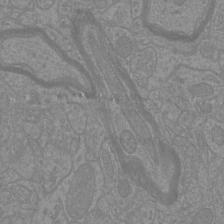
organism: Mouse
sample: Cortical neurons